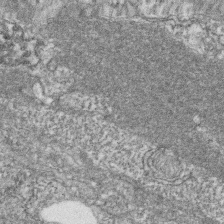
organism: Zebrafish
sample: Cilia; retinal pigment epithelium